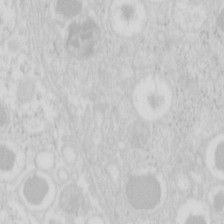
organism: Mouse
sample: Pancreas